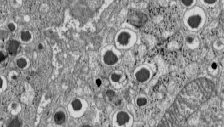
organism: C57BL Mouse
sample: Pancreatic islet